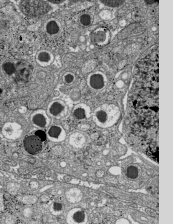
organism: C57BL Mouse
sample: Pancreatic islet